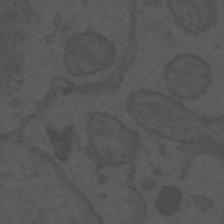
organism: Mouse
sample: Suprachiasmatic nucleus